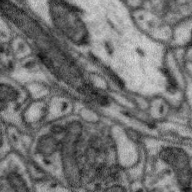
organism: Zebra finch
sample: Brain